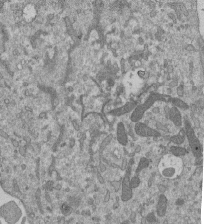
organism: Mouse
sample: ED-1 cell nuclei; centrioles